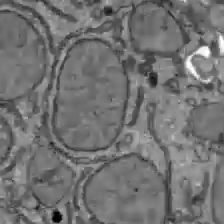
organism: C57BL Mouse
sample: Liver